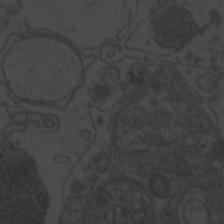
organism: Zebrafish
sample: Macrophage infected with Toxoplasma gondii